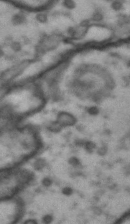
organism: Drosophila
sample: Brain